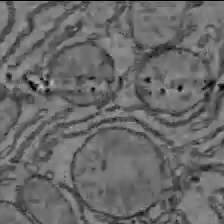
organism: C57BL Mouse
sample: Liver